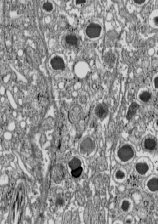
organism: C57BL Mouse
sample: Pancreatic islet